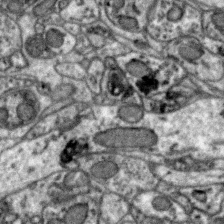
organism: Zebra finch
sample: Brain